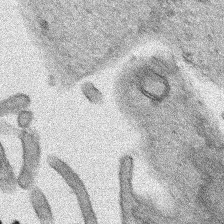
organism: Human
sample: Mitochondria in HCT116 cells